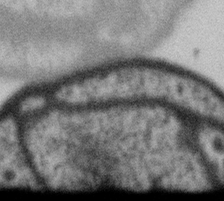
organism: Gemmata obscuriglobus